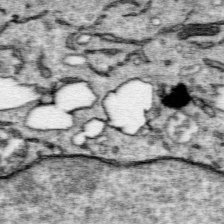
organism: Human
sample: HeLa cells